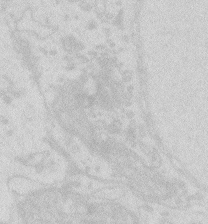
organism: Zebrafish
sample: Macrophage